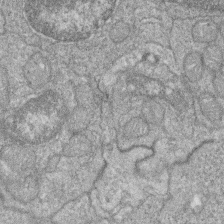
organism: Zebrafish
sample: Cilia; retinal pigment epithelium